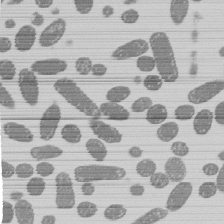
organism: E. coli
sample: Bacterial nucleoid